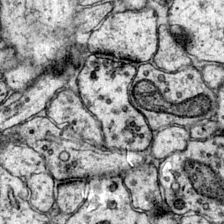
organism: Mouse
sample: Primary visual cortex